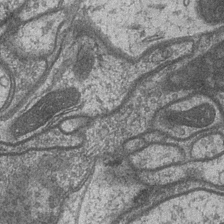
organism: Drosophila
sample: Optic medulla